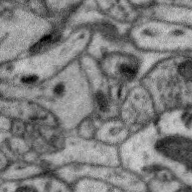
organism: Zebra finch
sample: Brain